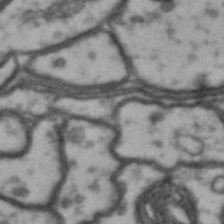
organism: Drosophila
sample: Brain